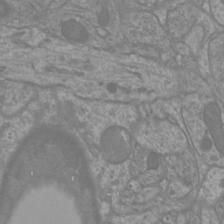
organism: Mouse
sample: Cortical neurons